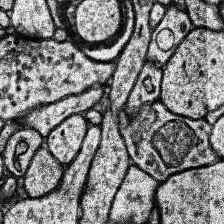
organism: Human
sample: Temporal Lobe